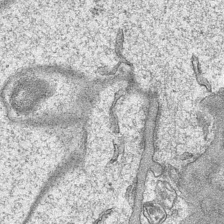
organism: Mouse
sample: CA1 Hippocampus